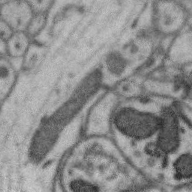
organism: Zebra finch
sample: Brain